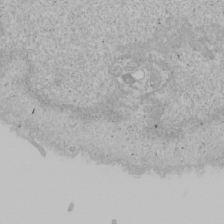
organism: Human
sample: Mitochondria in U2OS cells